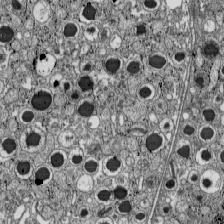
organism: C57BL Mouse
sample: Pancreatic islet